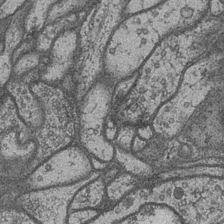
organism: Drosophila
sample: Optic medulla